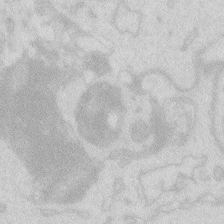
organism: Zebrafish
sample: Macrophage